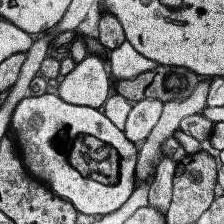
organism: Human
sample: Temporal Lobe